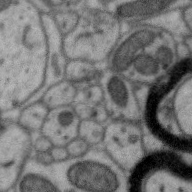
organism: Zebra finch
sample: Brain